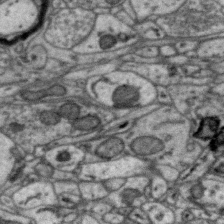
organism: Zebra finch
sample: Brain